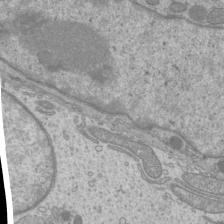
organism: Mouse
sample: Cilia; mouse epididymis